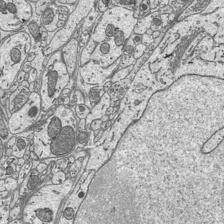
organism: Mouse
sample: Suprachiasmatic nucleus